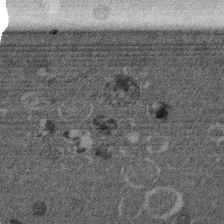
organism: Mouse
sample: Dividing mouse embryo 1 cell stage